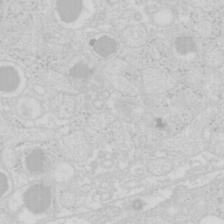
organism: Mouse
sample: Pancreas